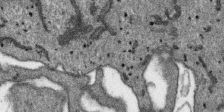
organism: Human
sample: Lung epithelial cells, uninfected (mock) control